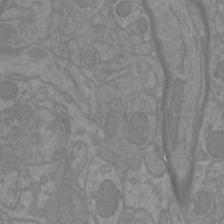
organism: Mouse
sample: Cortical neurons